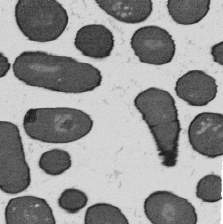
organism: B. subtilis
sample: Bacterial spore